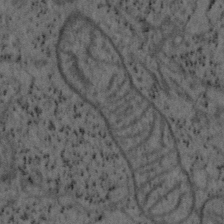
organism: Human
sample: HeLa cells